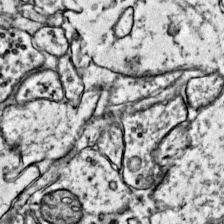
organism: Mouse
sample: Primary visual cortex